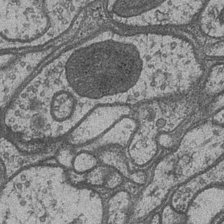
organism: Drosophila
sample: Optic medulla